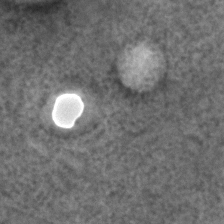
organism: C. elegans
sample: C. elegans embryo